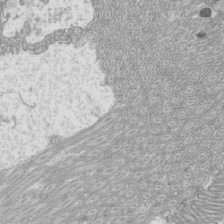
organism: Mouse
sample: Cilia; mouse epididymis